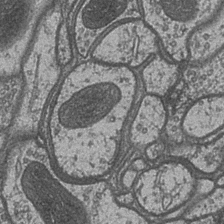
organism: Drosophila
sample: Optic medulla